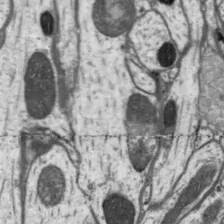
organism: Drosophila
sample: Protocerebral bridge